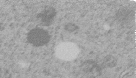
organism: C. elegans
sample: C. elegans embryo early stage